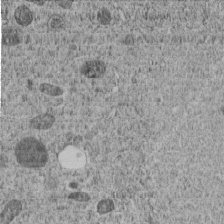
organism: C. elegans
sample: C. elegans embryo early stage